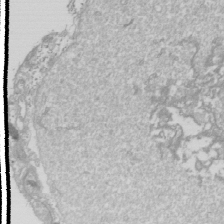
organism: Drosophila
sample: Cell division; meiosis; drosophila spermatocytes